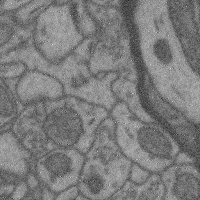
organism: Mouse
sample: Cerebral cortex